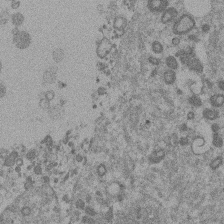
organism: Mouse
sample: Dividing mouse embryo 1 cell stage